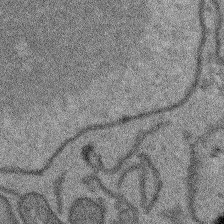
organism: Arabidopsis thaliana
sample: Root tip